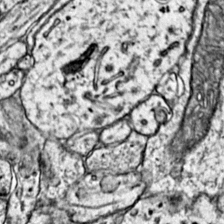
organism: Mouse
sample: Primary visual cortex